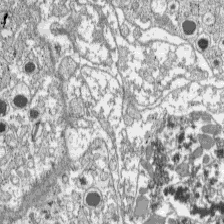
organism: C57BL Mouse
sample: Pancreatic islet